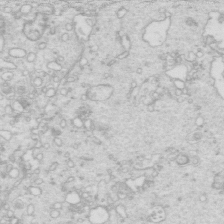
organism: Mouse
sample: Multiciliated cells